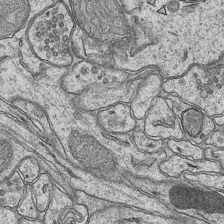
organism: Mouse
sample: CA1 Hippocampus